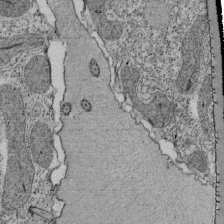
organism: Tetrahymena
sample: Cilia in tetrahymena